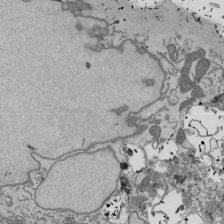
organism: Mouse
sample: ED-1 cell nuclei; centrioles